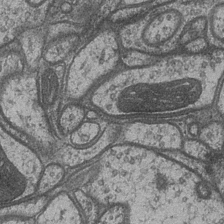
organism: Drosophila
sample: Optic medulla